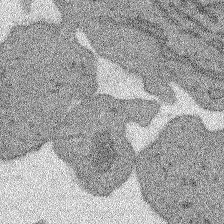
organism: Human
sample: HeLa cells